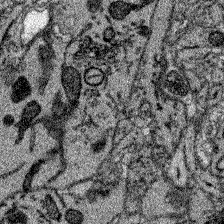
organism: Zebrafish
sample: Larval olfactory bulb